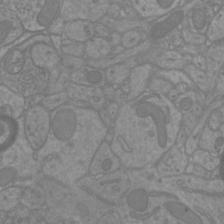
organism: Mouse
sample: Cortical neurons